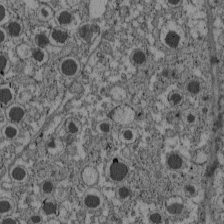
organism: C57BL Mouse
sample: Pancreatic islet